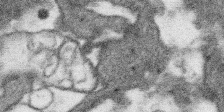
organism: Human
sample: Lung epithelial cells infected with SARS-CoV-2